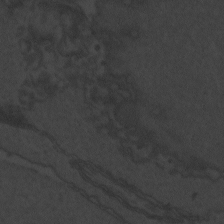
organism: Zebrafish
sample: Macrophage infected with Toxoplasma gondii